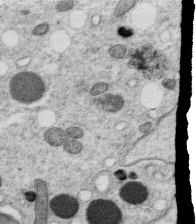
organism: C. elegans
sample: C. elegans oocyte; sperm cells